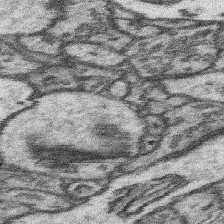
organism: Mouse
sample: Somatosensory cortex neuropil